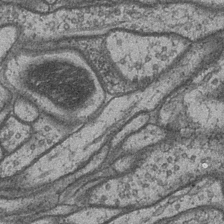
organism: Drosophila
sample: Optic medulla